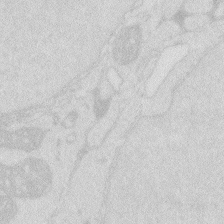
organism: Zebrafish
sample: Macrophage